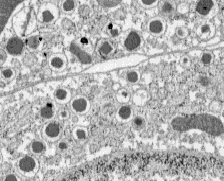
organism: C57BL Mouse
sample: Pancreatic islet